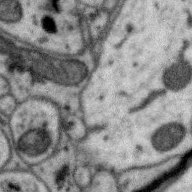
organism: Zebra finch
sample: Brain